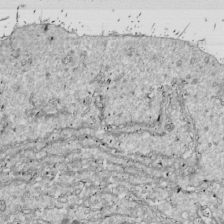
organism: Drosophila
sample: Cell division; meiosis; drosophila spermatocytes